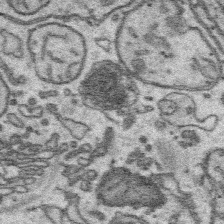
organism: Platynereis dumerilii